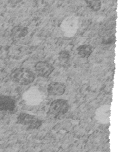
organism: C. elegans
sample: C. elegans embryo early stage